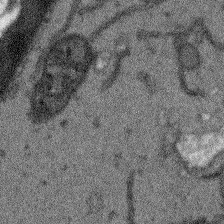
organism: Arabidopsis thaliana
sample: Root tip